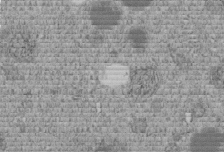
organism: C. elegans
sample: C. elegans embryo early stage